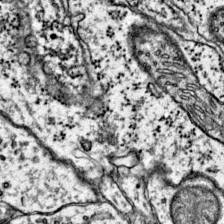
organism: Mouse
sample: Primary visual cortex